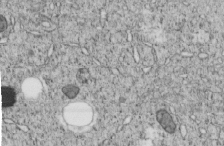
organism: C. elegans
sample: C. elegans embryo early stage